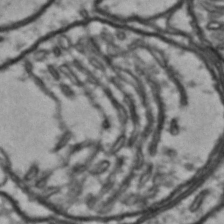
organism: Drosophila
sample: Brain